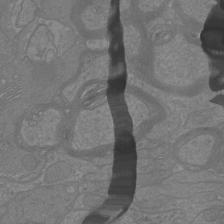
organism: Mouse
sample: Cortical neurons